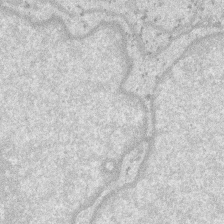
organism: Human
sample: Lung epithelial cells infected with SARS-CoV-2